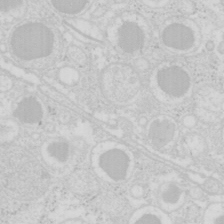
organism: Mouse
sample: Pancreas